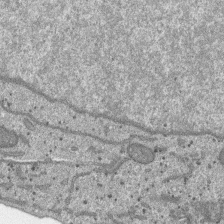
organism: Human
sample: Lung epithelial cells infected with SARS-CoV-2